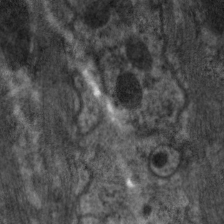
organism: C. elegans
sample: Pharynx